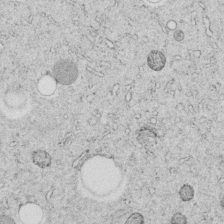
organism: C. elegans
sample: C. elegans embryo early stage